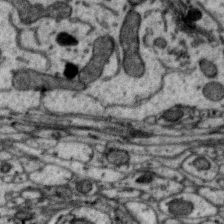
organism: Zebra finch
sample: Brain